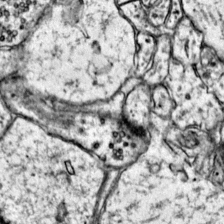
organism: Mouse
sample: Primary visual cortex